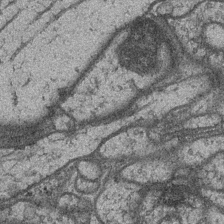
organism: Drosophila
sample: Optic medulla